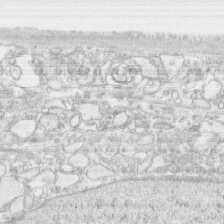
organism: Human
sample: CRL-1474